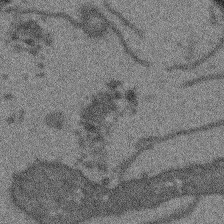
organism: Arabidopsis thaliana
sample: Root tip